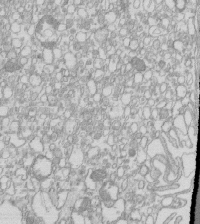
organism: Mouse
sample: Macrophages